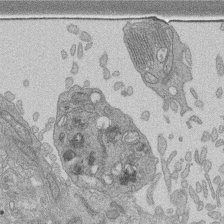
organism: Human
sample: Retinal organoid Rod and Cone cells